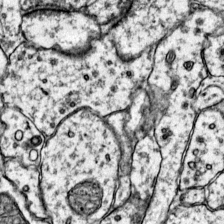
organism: Mouse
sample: Primary visual cortex